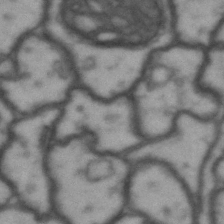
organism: Drosophila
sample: Brain